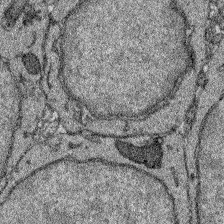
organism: Zebrafish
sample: Larval olfactory bulb